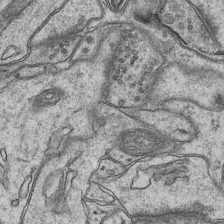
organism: Mouse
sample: CA1 Hippocampus